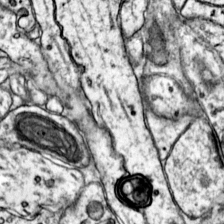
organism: Mouse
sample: Primary visual cortex